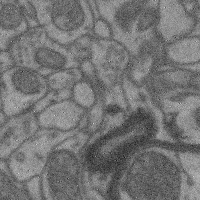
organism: Mouse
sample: Cerebral cortex